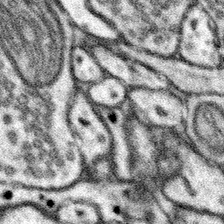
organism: Mouse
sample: Somatosensory cortex neuropil